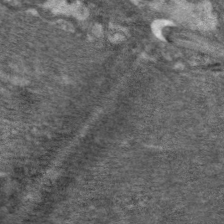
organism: C. elegans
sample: Pharynx